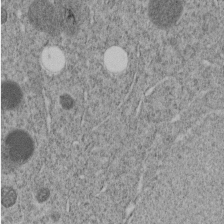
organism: C. elegans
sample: C. elegans embryo early stage